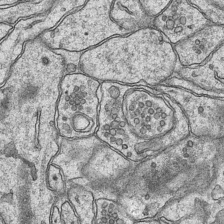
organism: Mouse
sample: CA1 Hippocampus